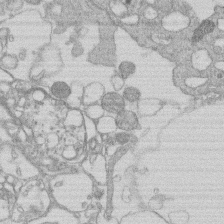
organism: Human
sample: Macrophage cells